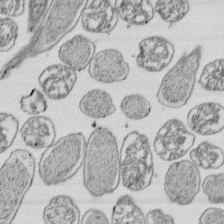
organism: E. coli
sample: Bacterial nucleoid